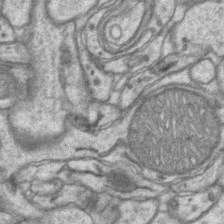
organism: Mouse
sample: CA1 Hippocampus